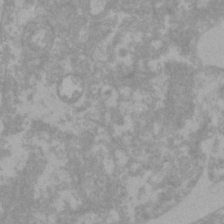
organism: Zebrafish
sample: Zebrafish embryo